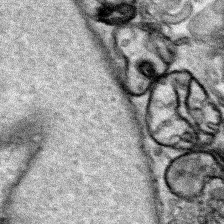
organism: Human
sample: Mitochondria in HCT116 cells